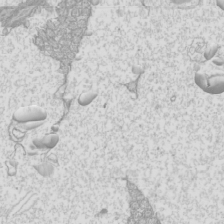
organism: Mouse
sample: Cilia; mouse epididymis